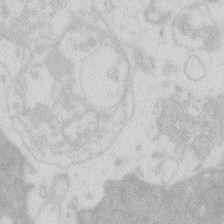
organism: Zebrafish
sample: Macrophage